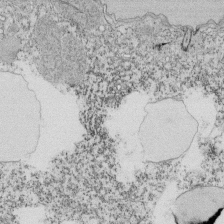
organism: Tetrahymena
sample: Cilia in tetrahymena